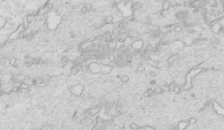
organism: Mouse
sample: Multiciliated cells